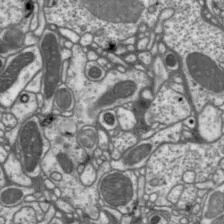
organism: Drosophila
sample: Protocerebral bridge